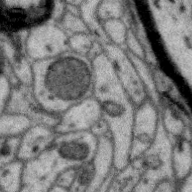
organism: Zebra finch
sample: Brain